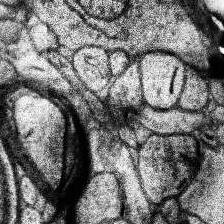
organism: Human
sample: Temporal Lobe